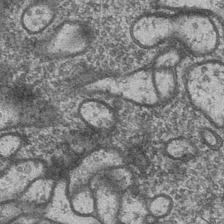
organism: Drosophila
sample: Optic medulla